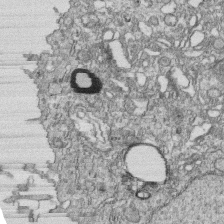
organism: Human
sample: HeLa cell HIV synapse